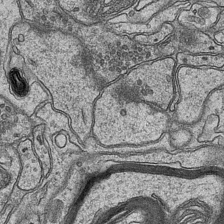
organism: Mouse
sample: CA1 Hippocampus